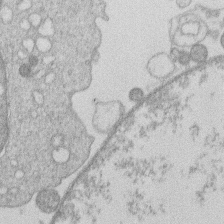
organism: Human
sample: Macrophage cells